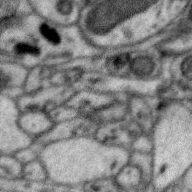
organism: Zebra finch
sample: Brain